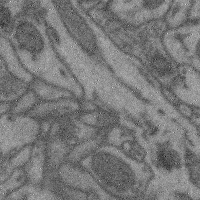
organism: Mouse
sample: Cerebral cortex